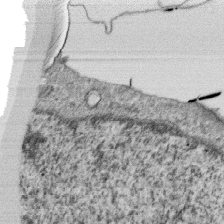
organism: African green monkey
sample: Vero E6 cells infected with SARS-CoV-2